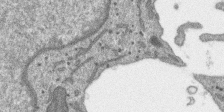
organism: Human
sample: Lung epithelial cells infected with SARS-CoV-2